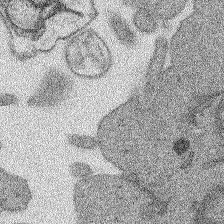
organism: Human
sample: HeLa cells